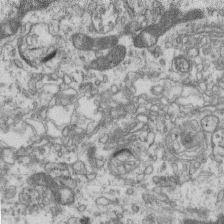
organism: Mouse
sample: Centriole in ependymal cells